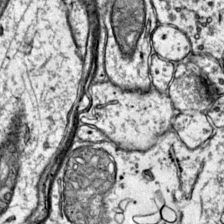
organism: Mouse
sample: Primary visual cortex